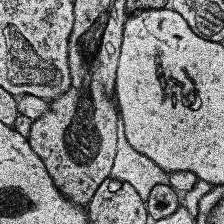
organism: Human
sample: Temporal Lobe